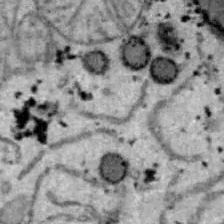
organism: Mouse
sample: Liver from an obese (ob/ob) mouse